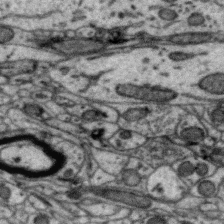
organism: Zebra finch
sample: Brain